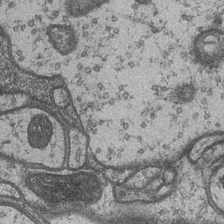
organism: Drosophila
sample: Optic medulla